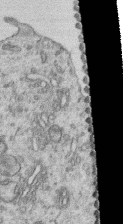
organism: Human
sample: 1205lu cells